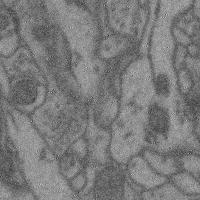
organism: Mouse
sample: Cerebral cortex